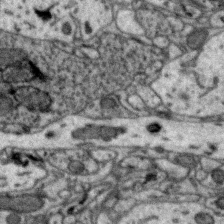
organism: Zebra finch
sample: Brain